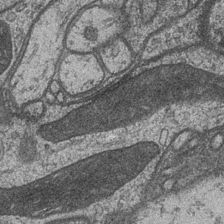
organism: Drosophila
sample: Optic medulla